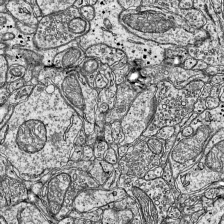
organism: Mouse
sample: Visual Cortex